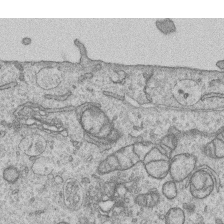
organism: Human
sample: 1205lu cells